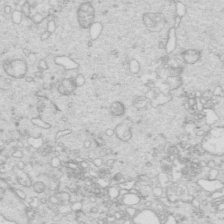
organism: Mouse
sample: Multiciliated cells